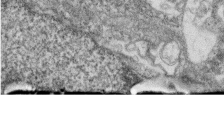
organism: Zebrafish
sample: Cilia; retinal pigment epithelium